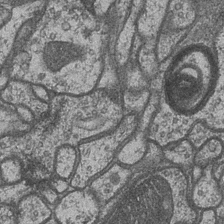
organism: Drosophila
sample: Optic medulla